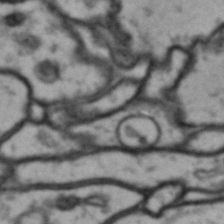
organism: Drosophila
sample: Brain